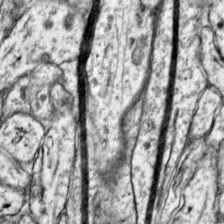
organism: Mouse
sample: Primary visual cortex